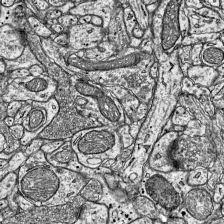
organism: Mouse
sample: Visual Cortex